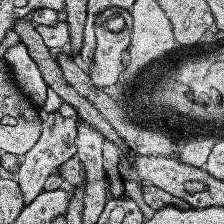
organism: Human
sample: Temporal Lobe